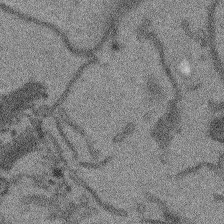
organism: Arabidopsis thaliana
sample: Root tip